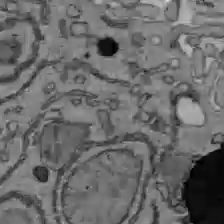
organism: C57BL Mouse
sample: Liver